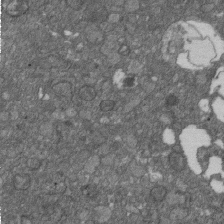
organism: Drosophila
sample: Nephrocyte